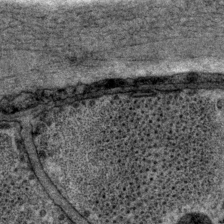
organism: P. pacificus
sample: Pharynx